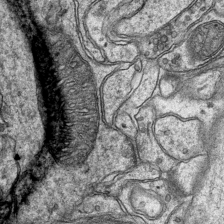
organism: Mouse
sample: CA1 Hippocampus